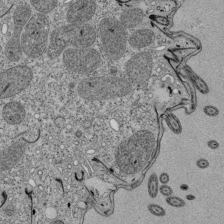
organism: Tetrahymena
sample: Cilia in tetrahymena